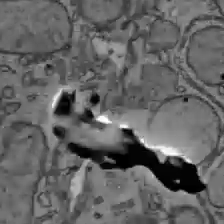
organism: C57BL Mouse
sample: Liver